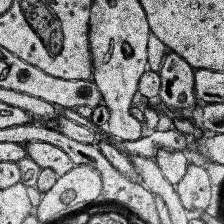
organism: Human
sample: Temporal Lobe